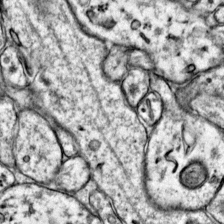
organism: Mouse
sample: Primary visual cortex